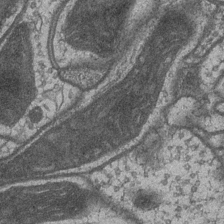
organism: Drosophila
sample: Optic medulla